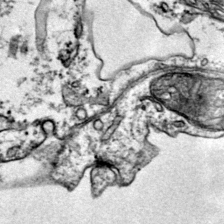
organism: Mouse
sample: Primary visual cortex